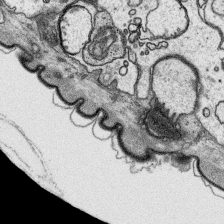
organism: Platynereis dumerilii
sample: Parapodia